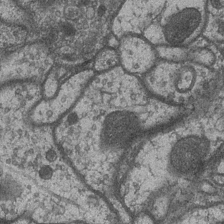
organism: Drosophila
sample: Optic medulla